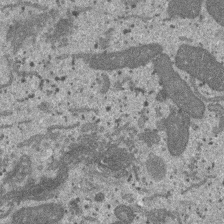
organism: Human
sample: Lung epithelial cells infected with SARS-CoV-2